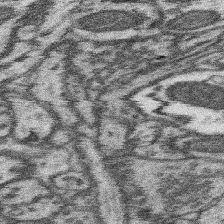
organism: Mouse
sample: Somatosensory cortex neuropil